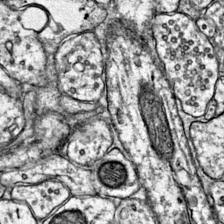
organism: Mouse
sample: Primary visual cortex